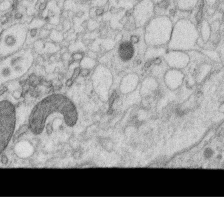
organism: C. elegans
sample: C. elegans oocyte; sperm cells